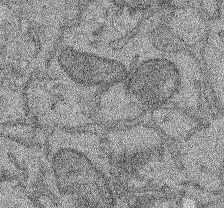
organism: Human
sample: HeLa cells